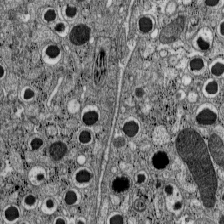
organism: C57BL Mouse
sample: Pancreatic islet